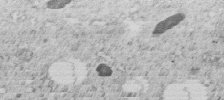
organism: C. elegans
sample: C. elegans embryo early stage